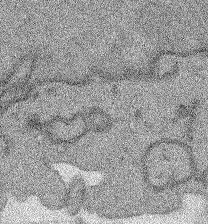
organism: Human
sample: HeLa cells